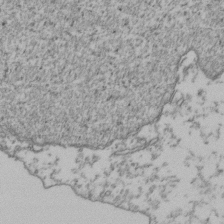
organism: Human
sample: Activated Jurkat CD4+ T cells